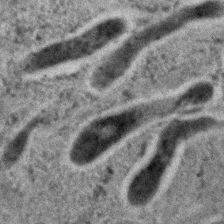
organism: C. elegans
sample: C. elegans embryo